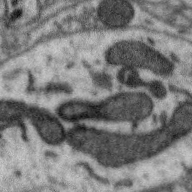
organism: Zebra finch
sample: Brain